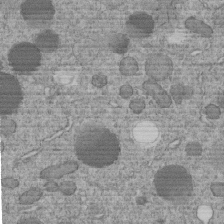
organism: C. elegans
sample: C. elegans embryo early stage